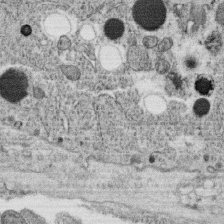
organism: C. elegans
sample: C. elegans oocyte; sperm cells